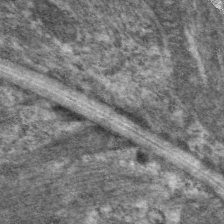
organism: C. elegans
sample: Pharynx